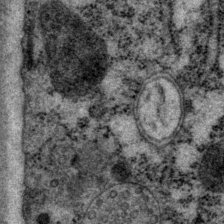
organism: P. pacificus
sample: Pharynx